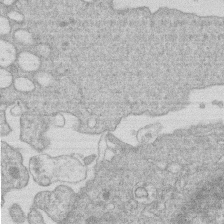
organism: Human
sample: Macrophage cells